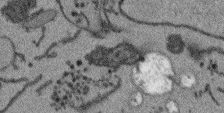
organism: Arabidopsis thaliana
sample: Root tip